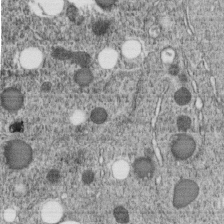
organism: C. elegans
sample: C. elegans embryo early stage